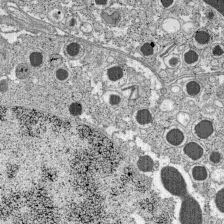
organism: C57BL Mouse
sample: Pancreatic islet